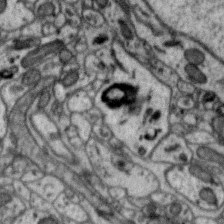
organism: Zebra finch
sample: Brain